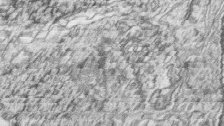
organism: Zebrafish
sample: synaptic ribbons in rod cells and cone cells